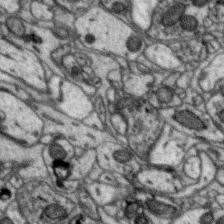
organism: Zebra finch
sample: Brain